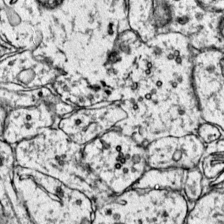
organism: Mouse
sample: Primary visual cortex